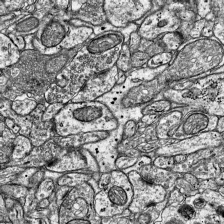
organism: Mouse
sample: Visual Cortex